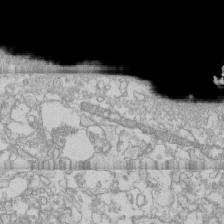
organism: Human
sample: CRL-1474